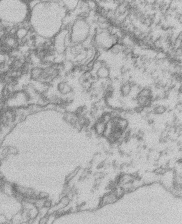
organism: Mouse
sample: T cell stromal cell synapse